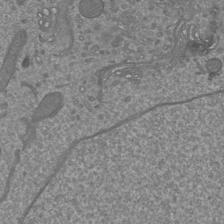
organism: Mouse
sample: Cortical neurons